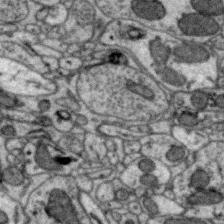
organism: Zebra finch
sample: Brain